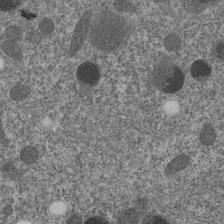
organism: C. elegans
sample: C. elegans embryo early stage